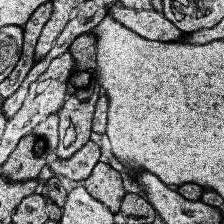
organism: Human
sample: Temporal Lobe